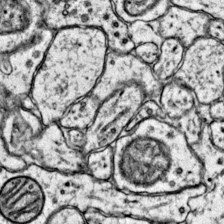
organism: Mouse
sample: Primary visual cortex